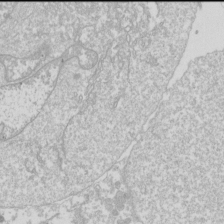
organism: Drosophila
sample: Cell division; meiosis; drosophila spermatocytes